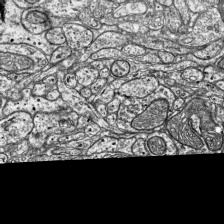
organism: Mouse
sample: Visual Cortex